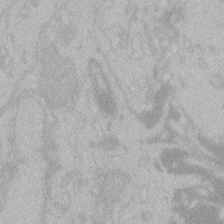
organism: Zebrafish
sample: Macrophage infected with Toxoplasma gondii